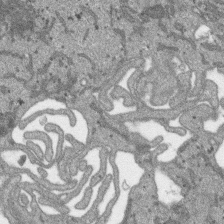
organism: Human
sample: Lung epithelial cells infected with SARS-CoV-2